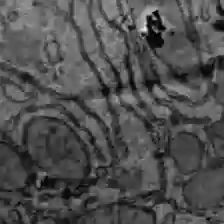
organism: C57BL Mouse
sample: Liver